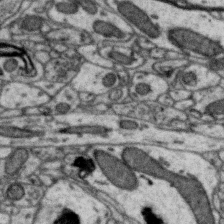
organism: Zebra finch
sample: Brain